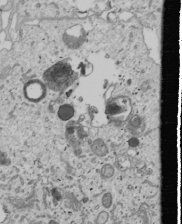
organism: Human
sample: Mitochondria in U2OS cells